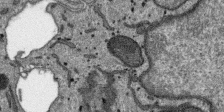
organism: Human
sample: Lung epithelial cells, uninfected (mock) control